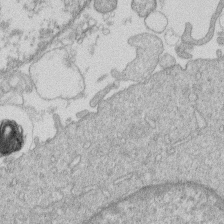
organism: Human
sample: Macrophage cells